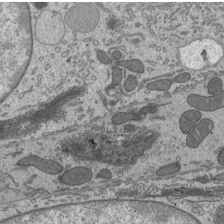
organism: Mouse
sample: Mouse epididymis efferent ductule cilia